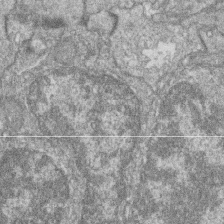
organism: Zebrafish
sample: Cilia; retinal pigment epithelium